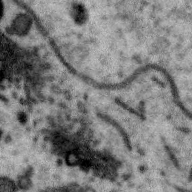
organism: Zebra finch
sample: Brain